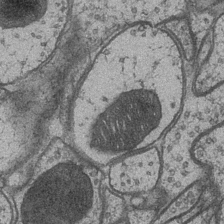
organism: Drosophila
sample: Optic medulla